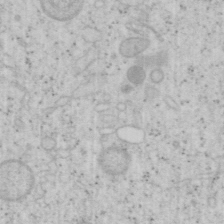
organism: Human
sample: HeLa cells